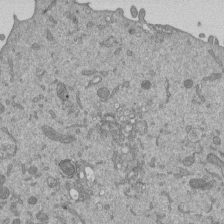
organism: Mouse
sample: ED-1 cell nuclei; centrioles